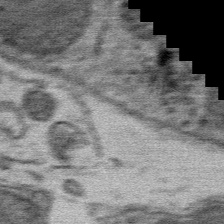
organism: Mouse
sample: Mouse Salivary gland